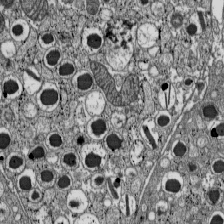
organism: C57BL Mouse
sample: Pancreatic islet